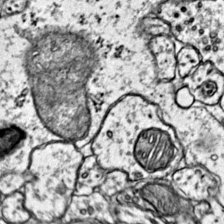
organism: Mouse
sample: Primary visual cortex